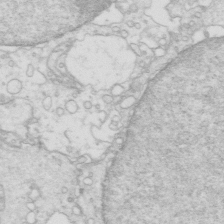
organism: Mouse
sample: Multiciliated cells